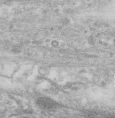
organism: Human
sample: Centriole in RPE cells